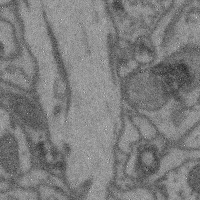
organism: Mouse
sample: Cerebral cortex